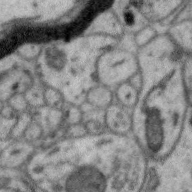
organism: Zebra finch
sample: Brain